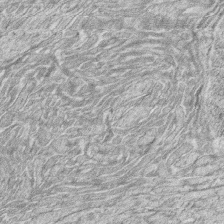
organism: Zebrafish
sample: synaptic ribbons in rod cells and cone cells